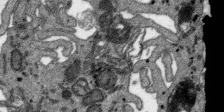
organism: Human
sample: Lung epithelial cells, uninfected (mock) control